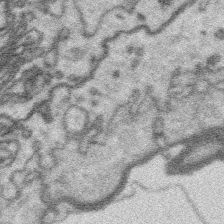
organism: Platynereis dumerilii